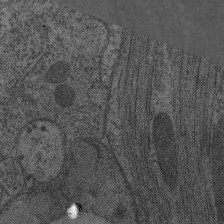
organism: C. elegans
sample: Pharynx